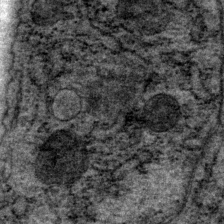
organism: P. pacificus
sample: Pharynx